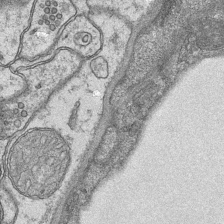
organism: Mouse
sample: CA1 Hippocampus